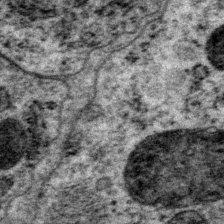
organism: P. pacificus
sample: Pharynx